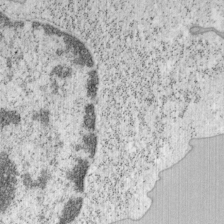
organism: Mouse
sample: OT-I killer T cells with ID8 ovarian cancer cells